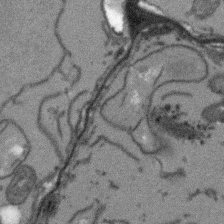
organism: Arabidopsis thaliana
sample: Root tip